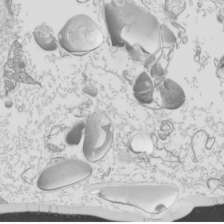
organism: Mouse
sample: Cilia; mouse epididymis